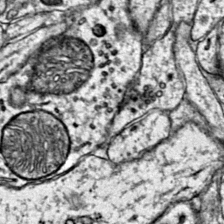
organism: Mouse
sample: Primary visual cortex